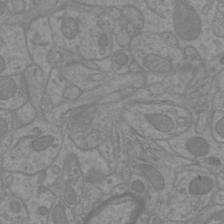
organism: Mouse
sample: Cortical neurons